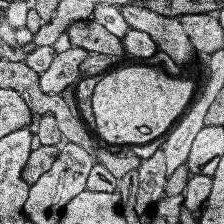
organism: Human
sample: Temporal Lobe